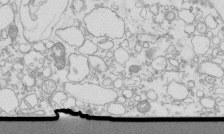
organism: Mouse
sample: Macrophages